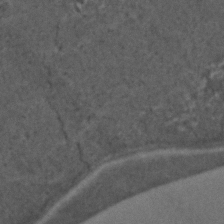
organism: C. elegans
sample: C. elegans embryo